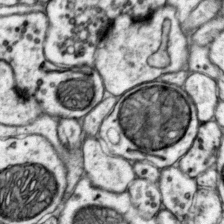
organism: Mouse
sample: Primary visual cortex